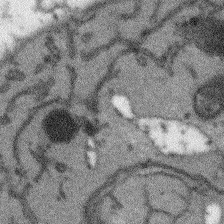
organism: Arabidopsis thaliana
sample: Root tip